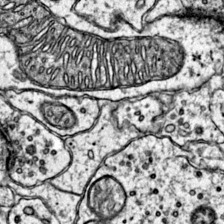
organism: Mouse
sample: Primary visual cortex